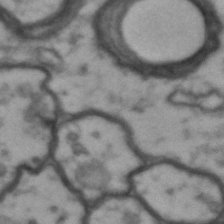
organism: Drosophila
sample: Brain